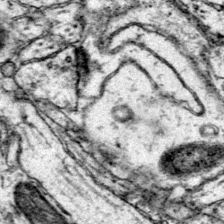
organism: Mouse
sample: Primary visual cortex